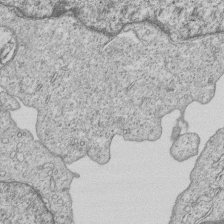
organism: Human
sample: MDA-MB-231 cells